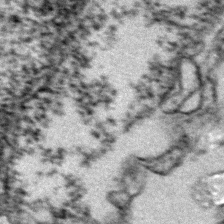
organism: Zebrafish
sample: Zebrafish embryo